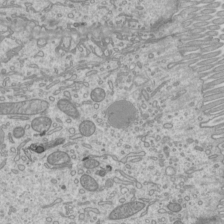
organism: Mouse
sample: Cilia; mouse epididymis